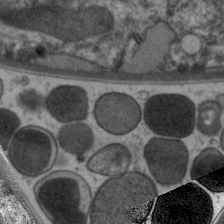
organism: C. elegans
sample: Pharynx